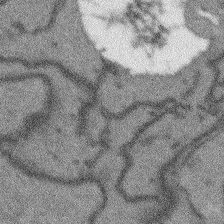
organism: Arabidopsis thaliana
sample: Root tip